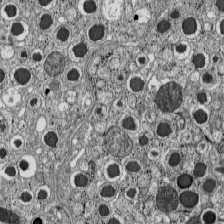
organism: C57BL Mouse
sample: Pancreatic islet